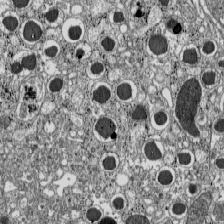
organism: C57BL Mouse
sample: Pancreatic islet